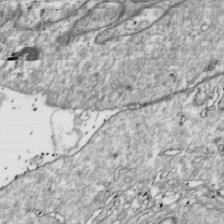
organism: Drosophila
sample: Cell division; meiosis; drosophila spermatocytes